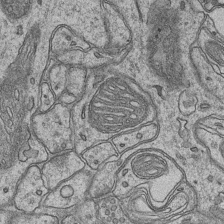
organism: Mouse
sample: CA1 Hippocampus